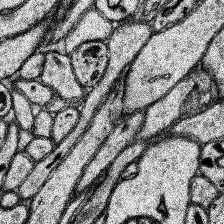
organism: Human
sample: Temporal Lobe